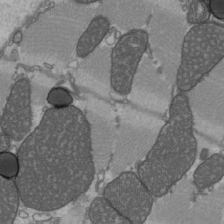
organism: C57BL Mouse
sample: Heart